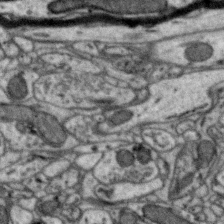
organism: Zebra finch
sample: Brain